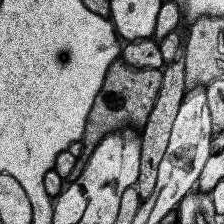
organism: Human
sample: Temporal Lobe